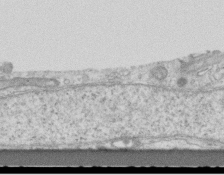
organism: Mouse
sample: Centriole in ependymal cells